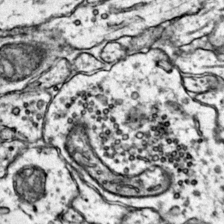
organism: Mouse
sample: Primary visual cortex